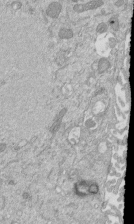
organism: Mouse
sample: ED-1 cell nuclei; centrioles